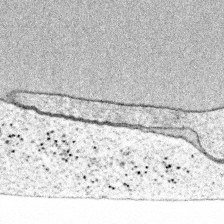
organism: Human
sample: HeLa cells